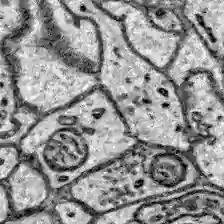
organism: Zebrafish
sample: Brain